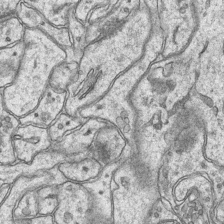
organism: Mouse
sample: CA1 Hippocampus